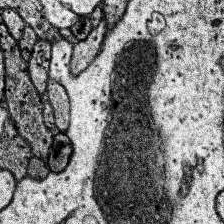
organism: Human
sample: Temporal Lobe